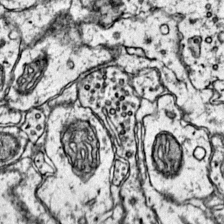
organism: Mouse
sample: Primary visual cortex